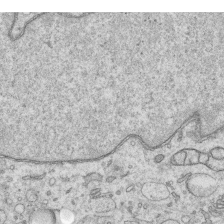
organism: Human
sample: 1205lu cells